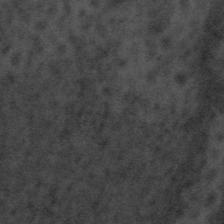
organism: Tuwongella immobilis